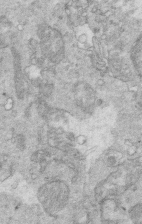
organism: Mouse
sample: Multiciliated cells